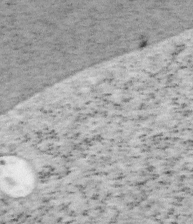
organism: Mouse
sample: OT-I killer T cells with ID8 ovarian cancer cells